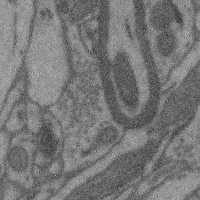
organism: Mouse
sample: Cerebral cortex